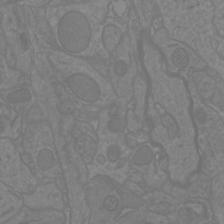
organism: Mouse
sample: Cortical neurons